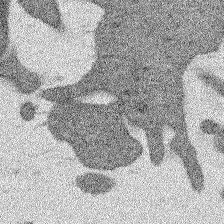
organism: Human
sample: HeLa cells